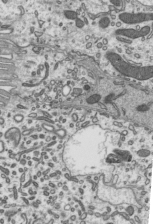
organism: Mouse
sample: Mouse epididymis efferent ductule cilia